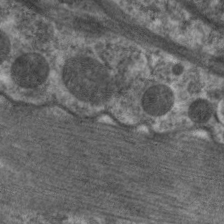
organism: C. elegans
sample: Pharynx